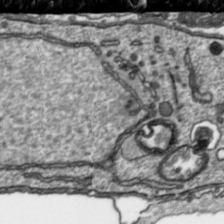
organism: Toxoplasma gondii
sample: Parasites in a vacuole inside a host cell